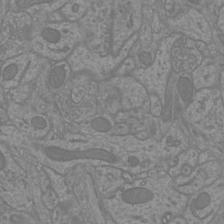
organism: Mouse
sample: Cortical neurons